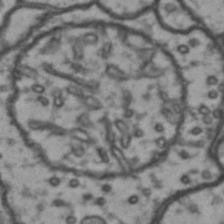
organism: Drosophila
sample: Brain